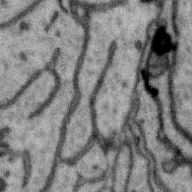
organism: Zebra finch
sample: Brain